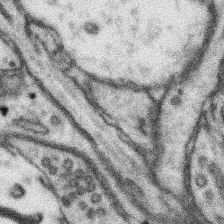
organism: Mouse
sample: Somatosensory cortex neuropil